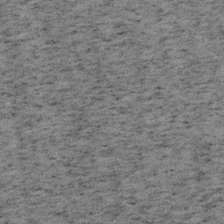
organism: Mouse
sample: OT-I killer T cells with ID8 ovarian cancer cells